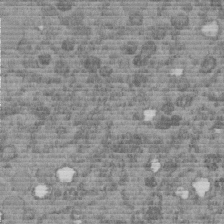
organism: C. elegans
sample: C. elegans embryo early stage